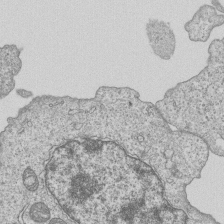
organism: Human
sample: MDA-MB-231 cells